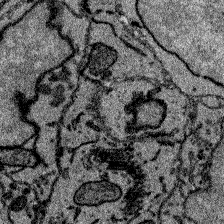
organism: Zebrafish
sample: Larval olfactory bulb